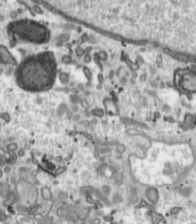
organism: Toxoplasma gondii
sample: Parasites in a vacuole inside a host cell